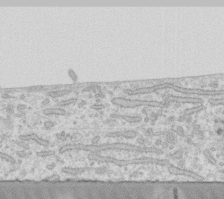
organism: Human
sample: Fibroblast cells